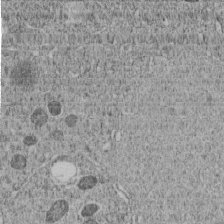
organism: C. elegans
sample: C. elegans embryo early stage